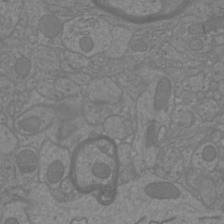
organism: Mouse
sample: Cortical neurons